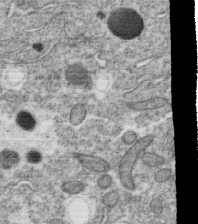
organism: C. elegans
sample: C. elegans oocyte; sperm cells